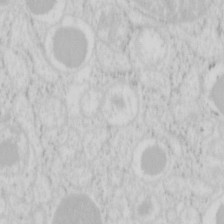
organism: Mouse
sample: Pancreas